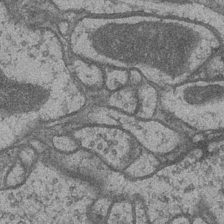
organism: Drosophila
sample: Optic medulla